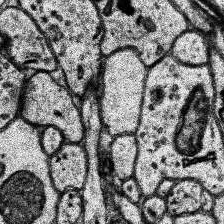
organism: Human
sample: Temporal Lobe